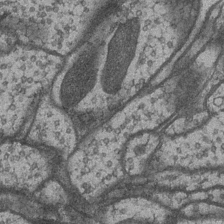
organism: Drosophila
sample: Optic medulla